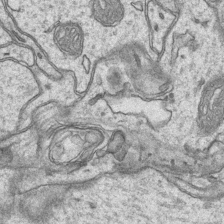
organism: Mouse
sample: CA1 Hippocampus